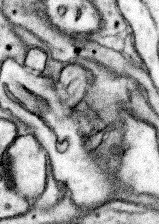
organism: Mouse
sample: Somatosensory cortex neuropil